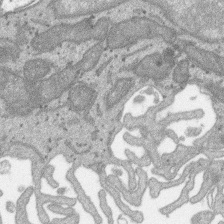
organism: Human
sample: Lung epithelial cells infected with SARS-CoV-2